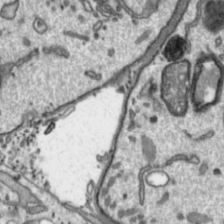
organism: Toxoplasma gondii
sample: Parasites in a vacuole inside a host cell